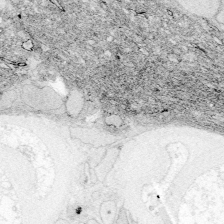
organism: Zebrafish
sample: Whole-Brain